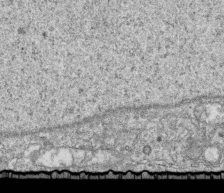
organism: Human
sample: HeLa cell HIV synapse